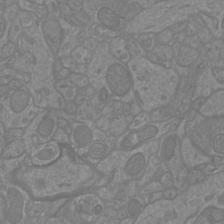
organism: Mouse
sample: Cortical neurons